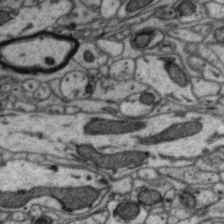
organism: Zebra finch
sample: Brain